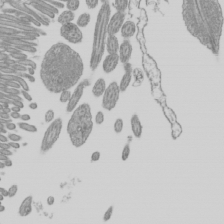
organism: Mouse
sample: Cilia; mouse epididymis